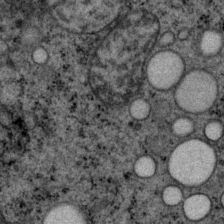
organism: P. pacificus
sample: Pharynx